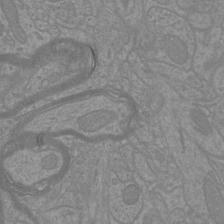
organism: Mouse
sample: Cortical neurons